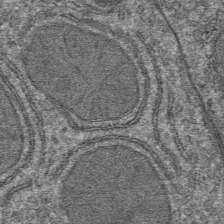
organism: Mouse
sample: Mouse hepatocytes